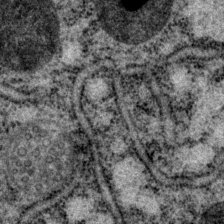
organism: P. pacificus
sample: Pharynx